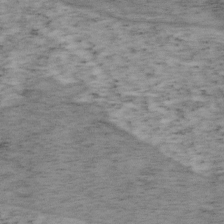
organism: Mouse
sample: OT-I killer T cells with ID8 ovarian cancer cells